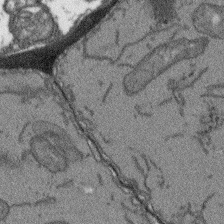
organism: Arabidopsis thaliana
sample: Root tip